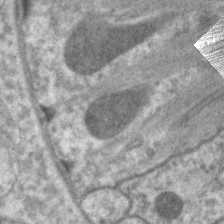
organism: C. elegans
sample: Pharynx